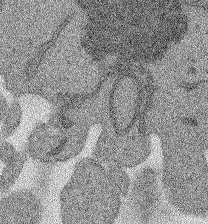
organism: Human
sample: HeLa cells